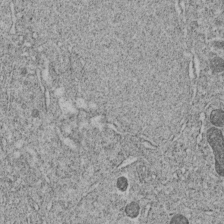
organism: C. elegans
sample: C. elegans embryo early stage